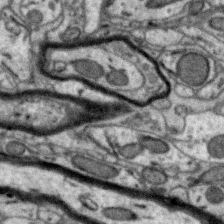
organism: Zebra finch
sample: Brain